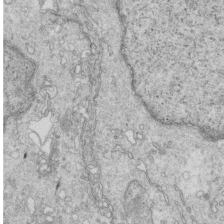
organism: Mouse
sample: Multiciliated cells